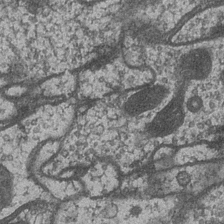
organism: Drosophila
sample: Optic medulla